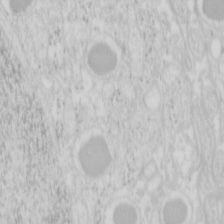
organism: Mouse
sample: Pancreas